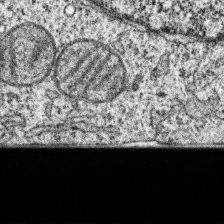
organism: Human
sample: HeLa cells